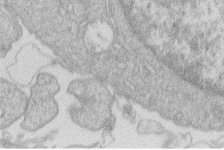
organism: Human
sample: Macrophage cells